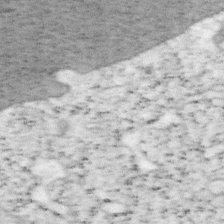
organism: Mouse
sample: OT-I killer T cells with ID8 ovarian cancer cells